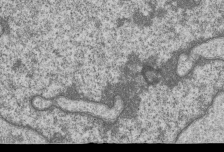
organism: Human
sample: MDA-MB-231 cells